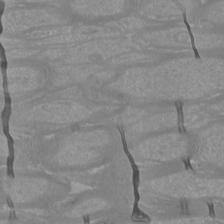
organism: Mouse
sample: Cortical neurons